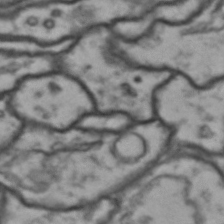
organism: Drosophila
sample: Brain